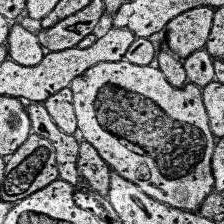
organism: Human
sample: Temporal Lobe